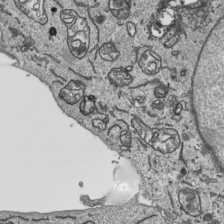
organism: Human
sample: Mitochondria in HCT116 cells